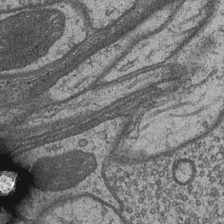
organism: Drosophila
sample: Optic medulla